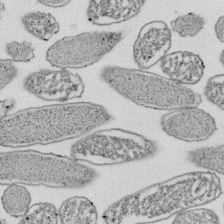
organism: E. coli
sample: Bacterial nucleoid